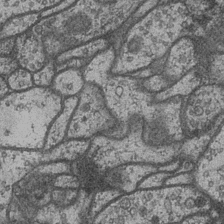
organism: Drosophila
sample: Optic medulla